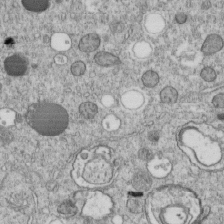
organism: C. elegans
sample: C. elegans embryo early stage